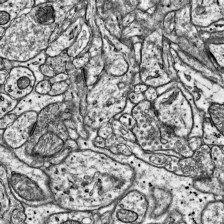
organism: Mouse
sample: Visual Cortex